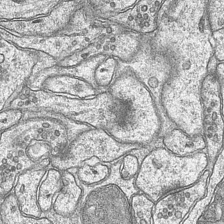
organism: Mouse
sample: CA1 Hippocampus